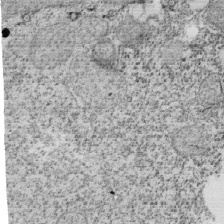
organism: Tetrahymena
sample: Cilia in tetrahymena